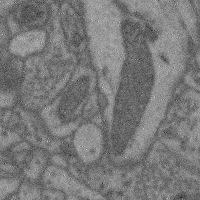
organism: Mouse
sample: Cerebral cortex